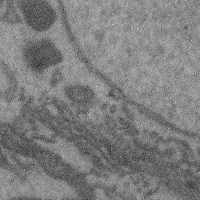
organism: Mouse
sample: Cerebral cortex